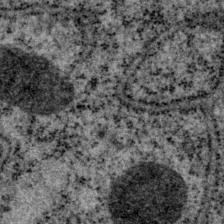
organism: P. pacificus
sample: Pharynx